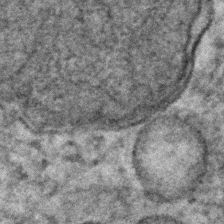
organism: Human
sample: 1205lu cells